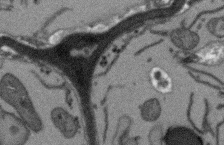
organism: Arabidopsis thaliana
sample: Root tip